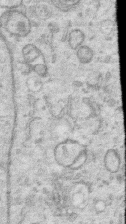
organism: Human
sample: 1205lu cells